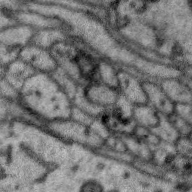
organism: Zebra finch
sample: Brain